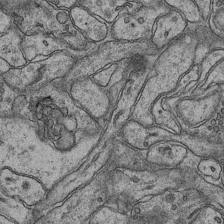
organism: Mouse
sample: CA1 Hippocampus